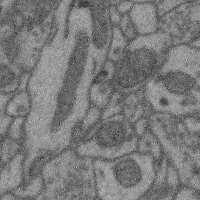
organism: Mouse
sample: Cerebral cortex